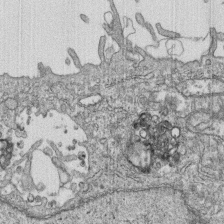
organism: Human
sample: HeLa cell HIV synapse